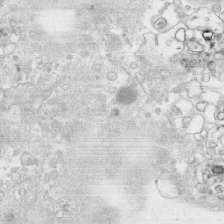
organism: Human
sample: CRL-1474